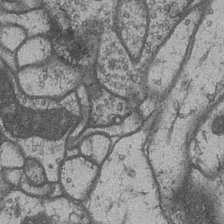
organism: Drosophila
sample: Optic medulla